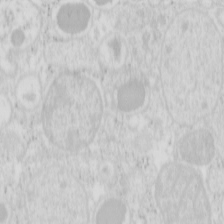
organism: Mouse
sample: Pancreas